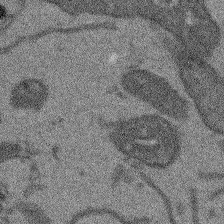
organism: Arabidopsis thaliana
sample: Root tip